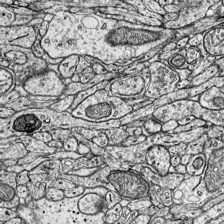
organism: Mouse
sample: Visual Cortex